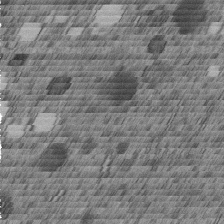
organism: C. elegans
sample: C. elegans embryo early stage